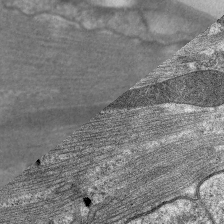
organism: C. elegans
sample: Pharynx